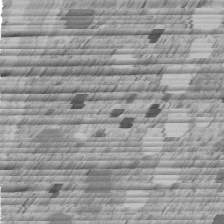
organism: C. elegans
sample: C. elegans embryo early stage